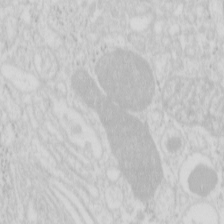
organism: Mouse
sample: Pancreas